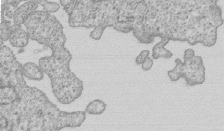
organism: Human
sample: MDA-MB-231 cells